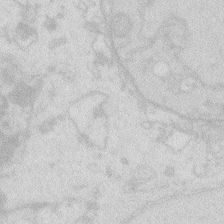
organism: Zebrafish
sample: Macrophage